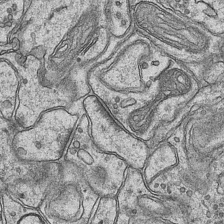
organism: Mouse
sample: CA1 Hippocampus